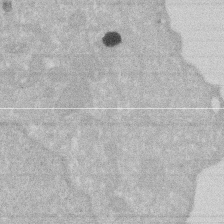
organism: Human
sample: HIV infected U937 cells